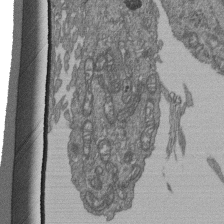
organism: Human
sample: Retinal organoid Rod and Cone cells